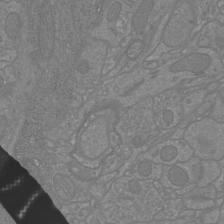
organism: Mouse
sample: Cortical neurons